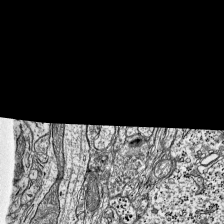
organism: Mouse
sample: Visual Cortex